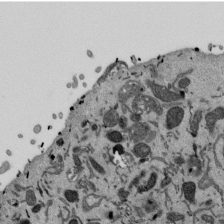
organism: Mouse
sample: ED-1 cell nuclei; centrioles